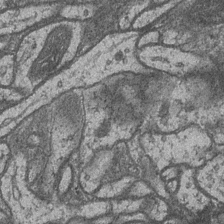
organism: Drosophila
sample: Optic medulla